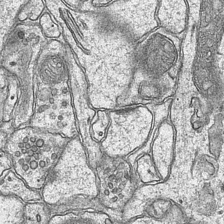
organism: Mouse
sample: CA1 Hippocampus